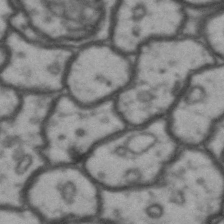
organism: Drosophila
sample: Brain